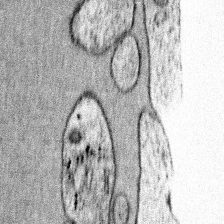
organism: Human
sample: HeLa cells